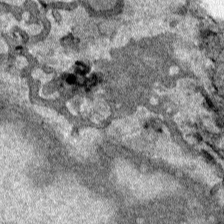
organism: Human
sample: Mitochondria in HCT116 cells